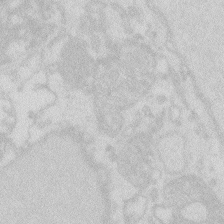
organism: Zebrafish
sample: Macrophage